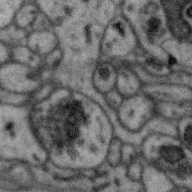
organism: Zebra finch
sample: Brain